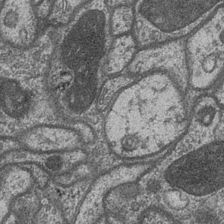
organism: Drosophila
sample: Optic medulla